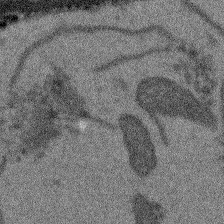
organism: Arabidopsis thaliana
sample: Root tip